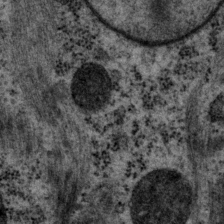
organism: P. pacificus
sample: Pharynx